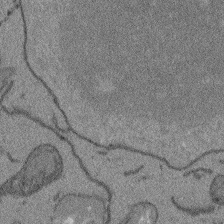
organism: Arabidopsis thaliana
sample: Root tip